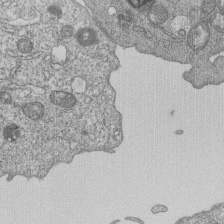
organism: Human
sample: MDA-MB-231 cells